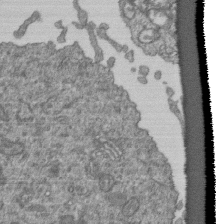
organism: Human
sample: Retinal organoid Rod and Cone cells